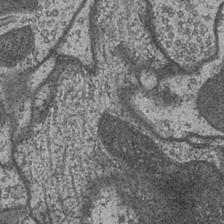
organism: Drosophila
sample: Optic medulla